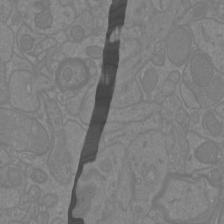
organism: Mouse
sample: Cortical neurons